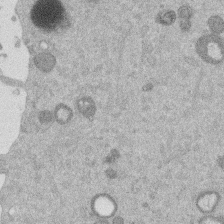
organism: Mouse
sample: Dividing mouse embryo 1 cell stage